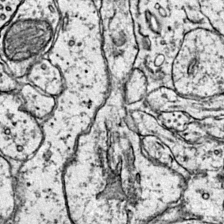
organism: Mouse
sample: Primary visual cortex